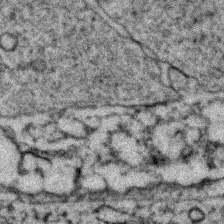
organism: Zebrafish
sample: Zebrafish embryo